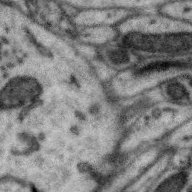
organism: Zebra finch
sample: Brain